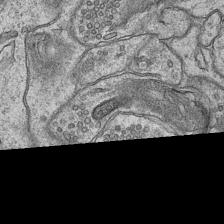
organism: Mouse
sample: CA1 Hippocampus